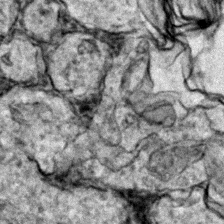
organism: Zebrafish